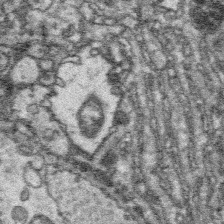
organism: Platynereis dumerilii